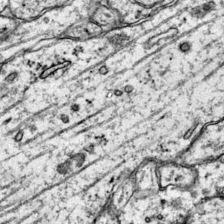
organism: Mouse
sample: Primary visual cortex